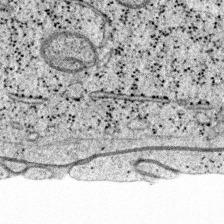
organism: Human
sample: HeLa cells